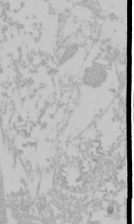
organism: Mouse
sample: Cancer cell death in ED-1 cells